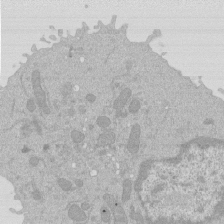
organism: Mouse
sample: Activated Pmel transgenic CD8+ T Cells